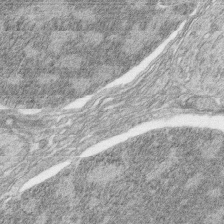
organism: Zebrafish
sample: synaptic ribbons in rod cells and cone cells